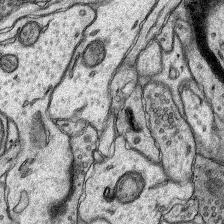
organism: Rat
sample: Hippocampus